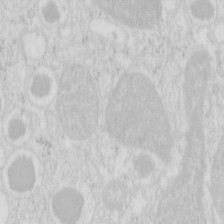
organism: Mouse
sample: Pancreas